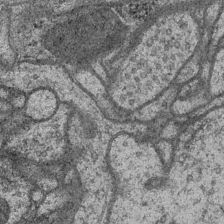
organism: Drosophila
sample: Optic medulla